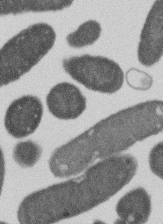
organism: E. coli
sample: Bacterial nucleoid